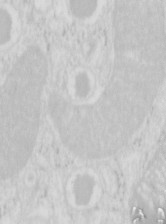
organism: Mouse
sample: Pancreas